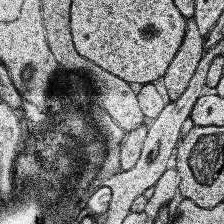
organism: Human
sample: Temporal Lobe